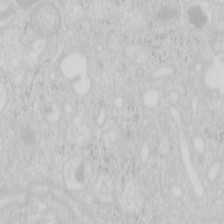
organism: Mouse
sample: Pancreas